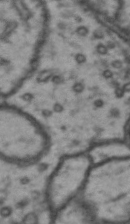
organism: Drosophila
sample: Brain